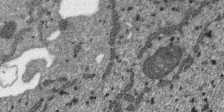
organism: Human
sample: Lung epithelial cells infected with SARS-CoV-2